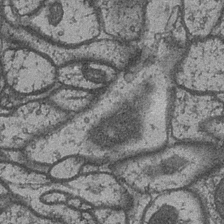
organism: Drosophila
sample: Optic medulla